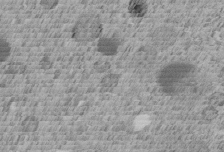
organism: C. elegans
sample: C. elegans embryo early stage